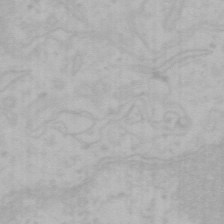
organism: Mouse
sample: Choroid plexus